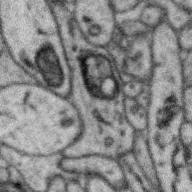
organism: Zebra finch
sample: Brain